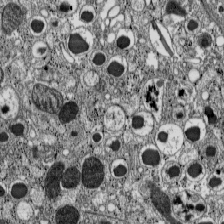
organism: C57BL Mouse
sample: Pancreatic islet